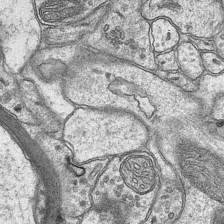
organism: Mouse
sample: CA1 Hippocampus